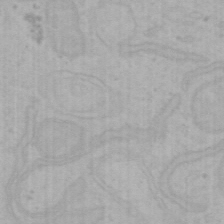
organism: Mouse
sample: Choroid plexus